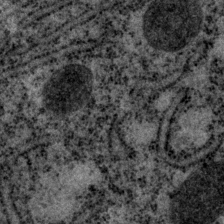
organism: P. pacificus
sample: Pharynx